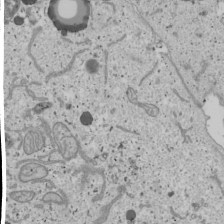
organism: Human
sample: Mitochondria in U2OS cells